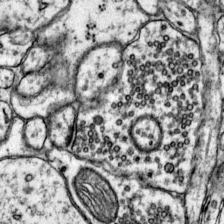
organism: Mouse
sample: Primary visual cortex